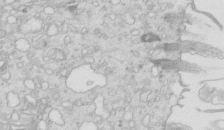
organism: Mouse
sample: Multiciliated cells